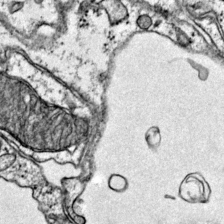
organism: Mouse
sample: Primary visual cortex